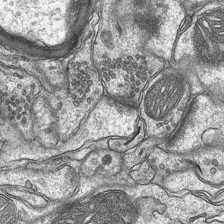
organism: Mouse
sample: CA1 Hippocampus